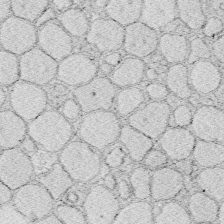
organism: Zebrafish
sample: Whole-Brain